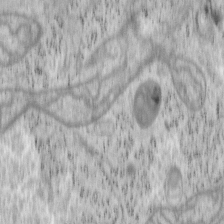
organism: Human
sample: HeLa cells